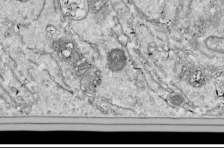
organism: Drosophila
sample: Cell division; meiosis; drosophila spermatocytes